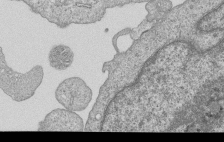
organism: Human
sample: MDA-MB-231 cells